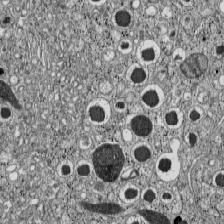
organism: C57BL Mouse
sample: Pancreatic islet